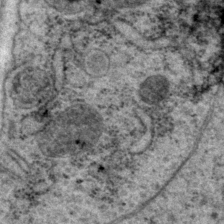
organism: P. pacificus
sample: Pharynx